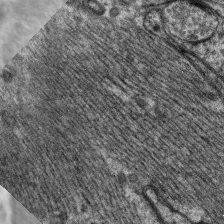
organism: C. elegans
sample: Pharynx